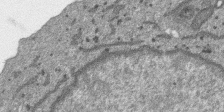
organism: Human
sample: Lung epithelial cells infected with SARS-CoV-2